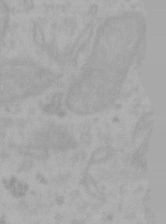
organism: Mouse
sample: Choroid plexus